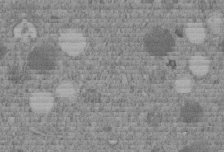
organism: C. elegans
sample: C. elegans embryo early stage